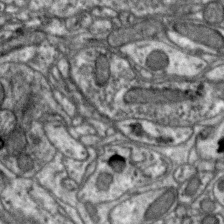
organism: Zebra finch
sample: Brain